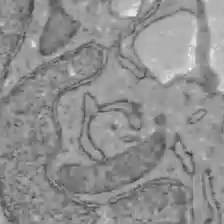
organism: C57BL Mouse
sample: Liver